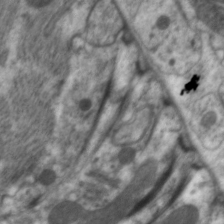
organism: C. elegans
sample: Pharynx